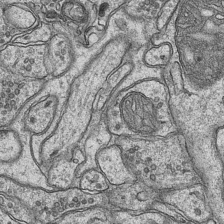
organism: Mouse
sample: CA1 Hippocampus